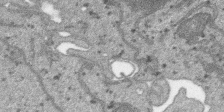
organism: Human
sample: Lung epithelial cells infected with SARS-CoV-2